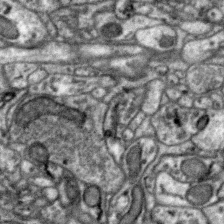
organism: Zebra finch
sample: Brain